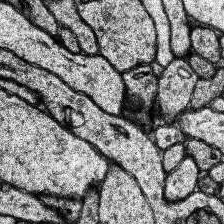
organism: Human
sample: Temporal Lobe